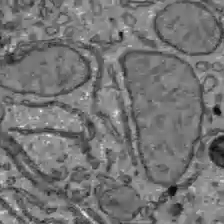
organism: C57BL Mouse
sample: Liver